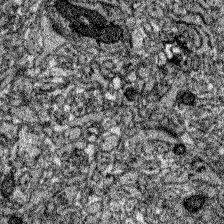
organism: Zebrafish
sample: Larval olfactory bulb